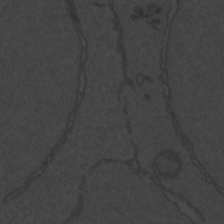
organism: Zebrafish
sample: Macrophage infected with Toxoplasma gondii